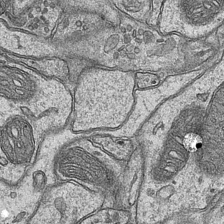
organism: Mouse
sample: CA1 Hippocampus